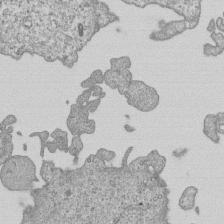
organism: Human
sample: MDA-MB-231 cells